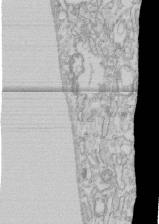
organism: Human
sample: CRL-1474